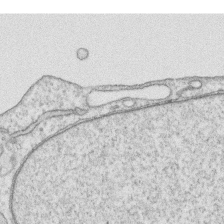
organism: Human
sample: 1205lu cells